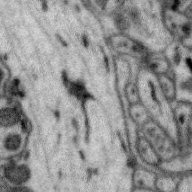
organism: Zebra finch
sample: Brain